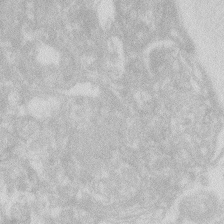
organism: Zebrafish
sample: Macrophage